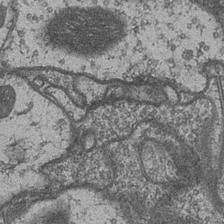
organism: Drosophila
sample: Optic medulla